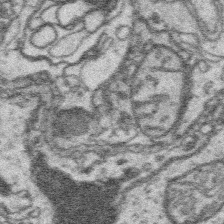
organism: Platynereis dumerilii